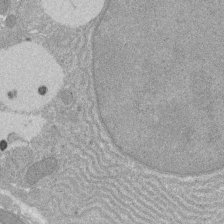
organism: Rat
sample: Salivary granule